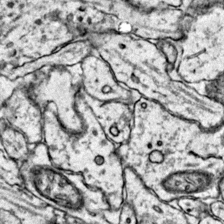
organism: Mouse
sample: Primary visual cortex